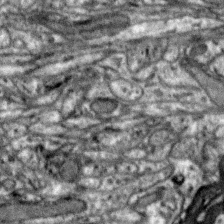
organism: Zebra finch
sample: Brain